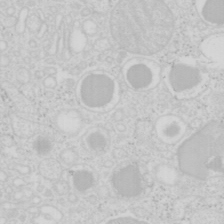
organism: Mouse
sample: Pancreas